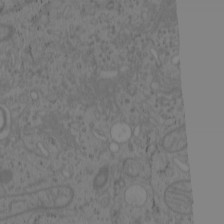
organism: Human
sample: HeLa cells